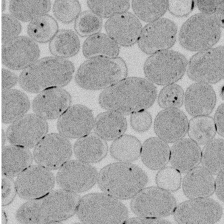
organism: E. coli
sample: Bacterial nucleoid